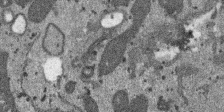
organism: Human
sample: Lung epithelial cells infected with SARS-CoV-2